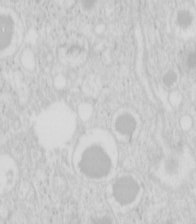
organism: Mouse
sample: Pancreas